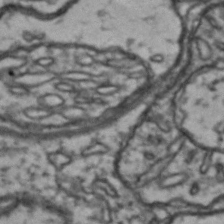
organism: Drosophila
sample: Brain